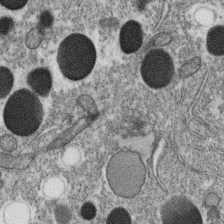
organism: C. elegans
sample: C. elegans oocyte; sperm cells